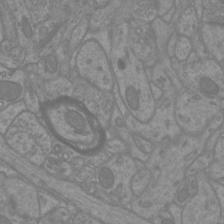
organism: Mouse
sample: Cortical neurons